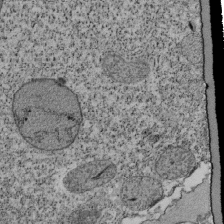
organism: Tetrahymena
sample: Cilia in tetrahymena